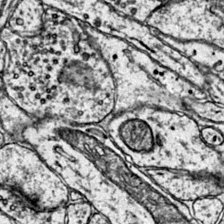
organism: Mouse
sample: Primary visual cortex